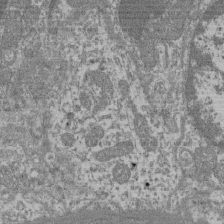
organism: Mouse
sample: Glomerulus